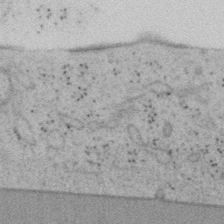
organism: Human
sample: HeLa cells